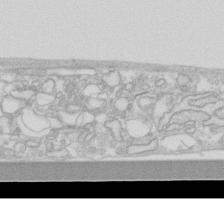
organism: Human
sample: Fibroblast cells